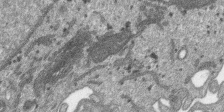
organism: Human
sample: Lung epithelial cells infected with SARS-CoV-2